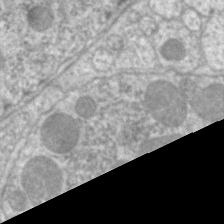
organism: C. elegans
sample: Pharynx